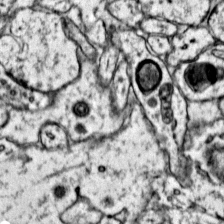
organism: Mouse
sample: Primary visual cortex